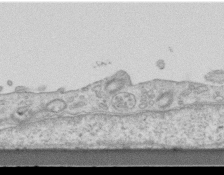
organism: Mouse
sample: Centriole in ependymal cells